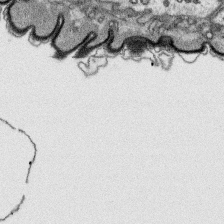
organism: Platynereis dumerilii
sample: Parapodia